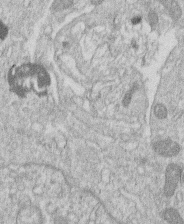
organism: Human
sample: Macrophage cells